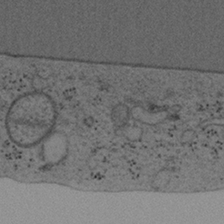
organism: Human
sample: HeLa cells